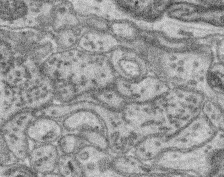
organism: Mouse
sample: Retina